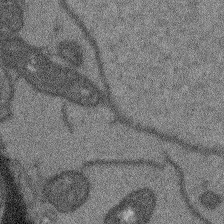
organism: Arabidopsis thaliana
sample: Root tip